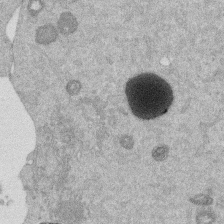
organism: Mouse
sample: Dividing mouse embryo 1 cell stage